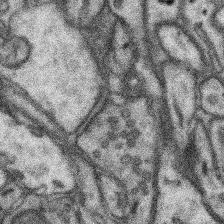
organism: Mouse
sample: Somatosensory cortex neuropil